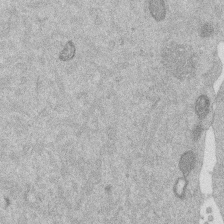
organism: Mouse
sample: Dividing mouse embryo 1 cell stage